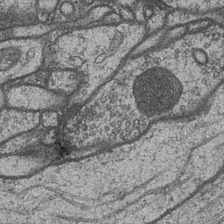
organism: Drosophila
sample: Optic medulla